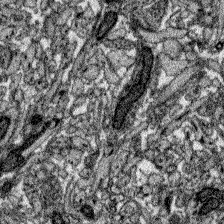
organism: Zebrafish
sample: Larval olfactory bulb